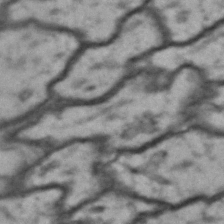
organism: Drosophila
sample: Brain